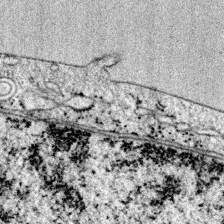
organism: Human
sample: HeLa cells